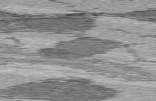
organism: C57BL Mouse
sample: Heart